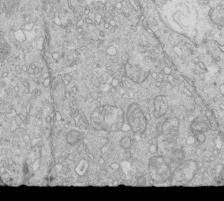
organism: Mouse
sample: Multiciliated cells